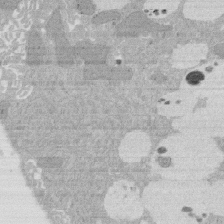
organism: Rat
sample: Salivary granule